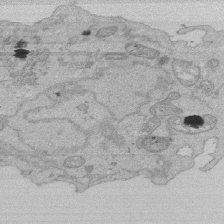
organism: Human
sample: Activated Jurkat CD4+ T cells